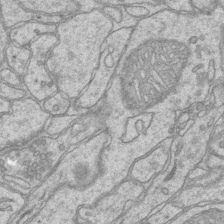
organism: Mouse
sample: CA1 Hippocampus